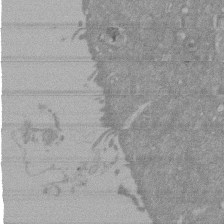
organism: Mouse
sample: ED-1 cell nuclei; centrioles